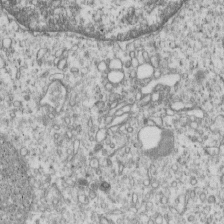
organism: Human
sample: MDA-MB-231 cells